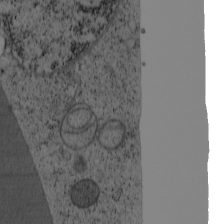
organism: African green monkey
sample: COS-7 cells